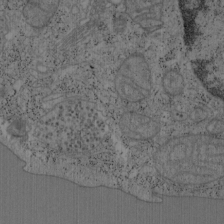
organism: Mouse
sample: OT-I killer T cells with ID8 ovarian cancer cells